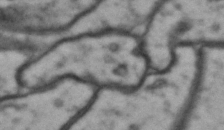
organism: Drosophila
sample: Brain